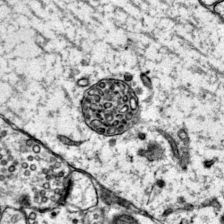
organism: Mouse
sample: Primary visual cortex